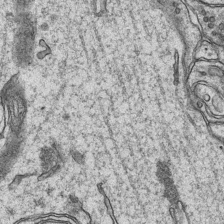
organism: Mouse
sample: CA1 Hippocampus